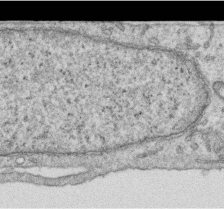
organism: Human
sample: Centriole in RPE cells